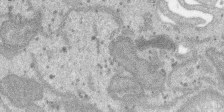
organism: Human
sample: Lung epithelial cells infected with SARS-CoV-2